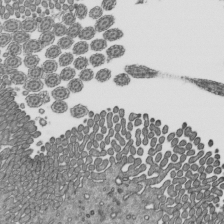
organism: Mouse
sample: Mouse epididymis efferent ductule cilia